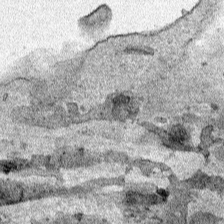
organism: Human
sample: Mitochondria in HCT116 cells